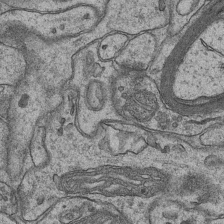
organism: Mouse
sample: CA1 Hippocampus